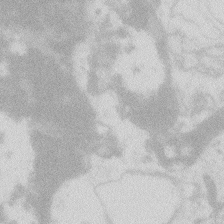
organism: Zebrafish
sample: Macrophage